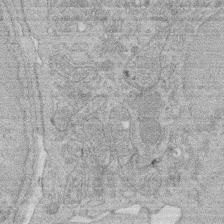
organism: Rat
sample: Salivary granule